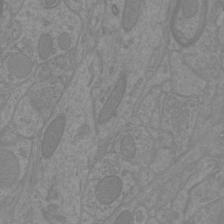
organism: Mouse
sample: Cortical neurons